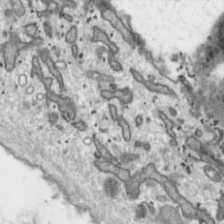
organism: Toxoplasma gondii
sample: Parasites in a vacuole inside a host cell